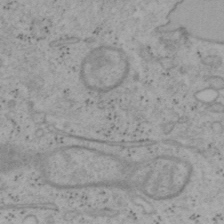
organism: Human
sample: HeLa cells